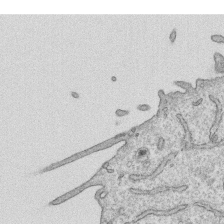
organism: Human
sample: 1205lu cells